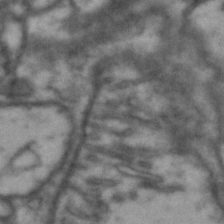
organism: Drosophila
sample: Brain